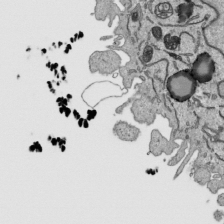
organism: Human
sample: Mitochondria in HCT116 cells